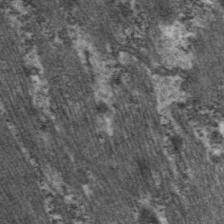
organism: C. elegans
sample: Pharynx